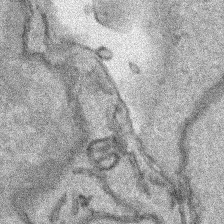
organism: Human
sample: Mitochondria in HCT116 cells